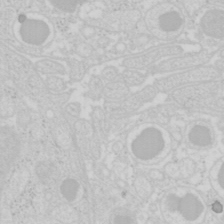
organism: Mouse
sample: Pancreas